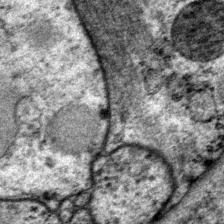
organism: P. pacificus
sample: Pharynx